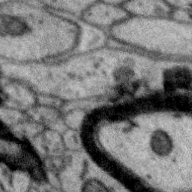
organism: Zebra finch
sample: Brain